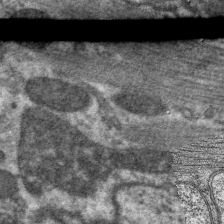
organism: C. elegans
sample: Pharynx